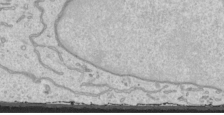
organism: Human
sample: Mitochondria in HCT116 cells